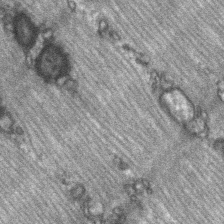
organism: C57BL Mouse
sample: Soleus